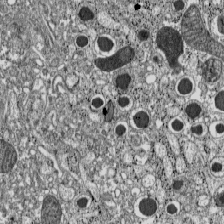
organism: C57BL Mouse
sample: Pancreatic islet